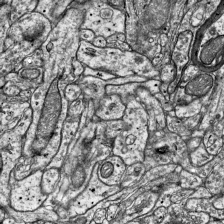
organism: Mouse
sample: Visual Cortex